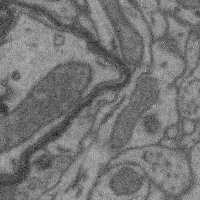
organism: Mouse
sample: Cerebral cortex